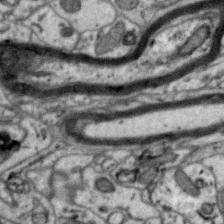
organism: Zebra finch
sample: Brain